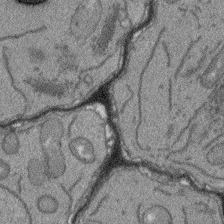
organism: Arabidopsis thaliana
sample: Root tip